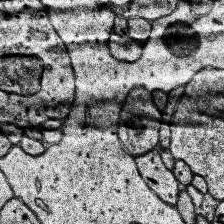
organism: Human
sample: Temporal Lobe